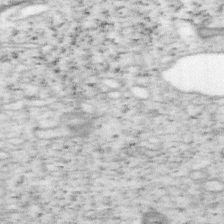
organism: Mouse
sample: OT-I killer T cells with ID8 ovarian cancer cells